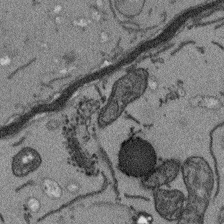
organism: Arabidopsis thaliana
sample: Root tip